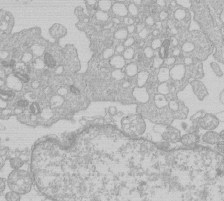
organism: Human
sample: Macrophage cells